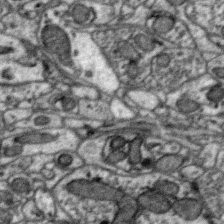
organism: Zebra finch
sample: Brain